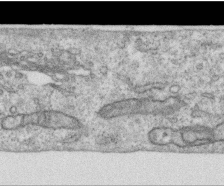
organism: Human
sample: Centriole in RPE cells